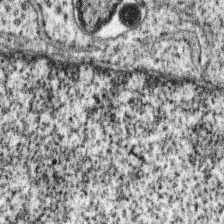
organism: Human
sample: HeLa cells